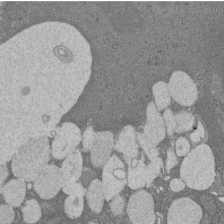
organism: Rat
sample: Salivary granule